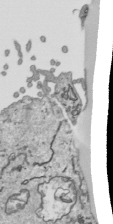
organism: Human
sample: Mitochondria in HCT116 cells